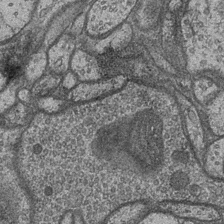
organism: Drosophila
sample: Optic medulla